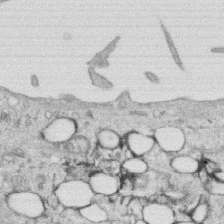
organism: Human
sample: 1205lu cells